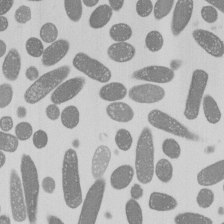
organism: E. coli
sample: Bacterial nucleoid